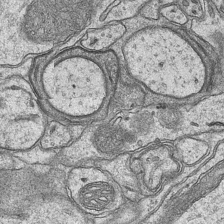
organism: Mouse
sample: CA1 Hippocampus